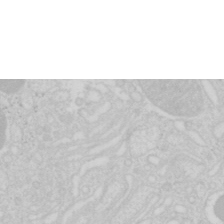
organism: Mouse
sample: Pancreas